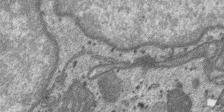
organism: Human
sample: Lung epithelial cells infected with SARS-CoV-2